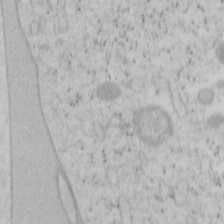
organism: Human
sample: HeLa cells